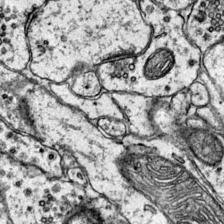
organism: Mouse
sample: Primary visual cortex